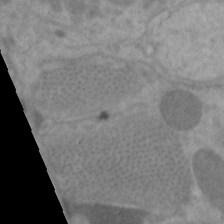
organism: C. elegans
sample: Pharynx